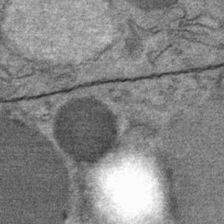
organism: Mouse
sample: Mouse Salivary gland